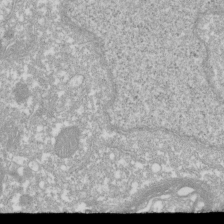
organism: Xenopus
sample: Cilia; centrioles in frog embryo cells